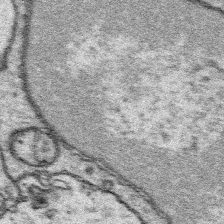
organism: Platynereis dumerilii